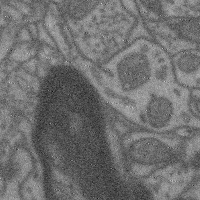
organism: Mouse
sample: Cerebral cortex